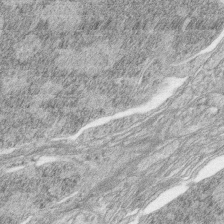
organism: Zebrafish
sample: synaptic ribbons in rod cells and cone cells